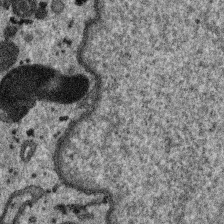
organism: Human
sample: Lung epithelial cells infected with SARS-CoV-2